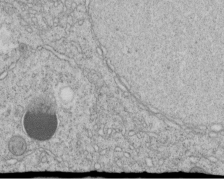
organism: C. elegans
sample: C. elegans embryo early stage